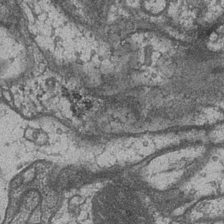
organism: Drosophila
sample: Optic medulla